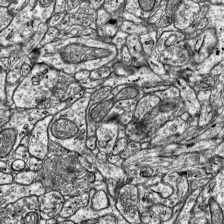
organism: Mouse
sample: Visual Cortex